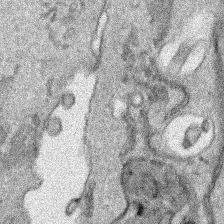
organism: Human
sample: Mitochondria in HCT116 cells